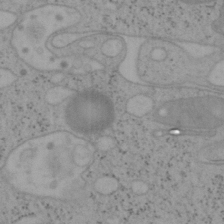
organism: Mouse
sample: OT-I killer T cells with ID8 ovarian cancer cells